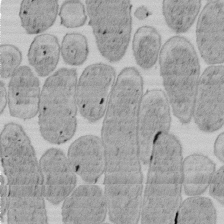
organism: E. coli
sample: Bacterial nucleoid